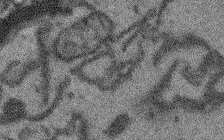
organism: Arabidopsis thaliana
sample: Root tip